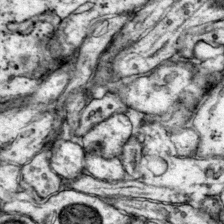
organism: Mouse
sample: Primary visual cortex